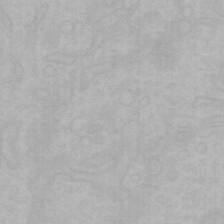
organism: Mouse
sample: Choroid plexus